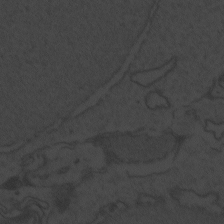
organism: Zebrafish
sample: Macrophage infected with Toxoplasma gondii